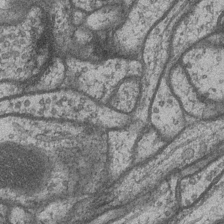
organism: Drosophila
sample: Optic medulla